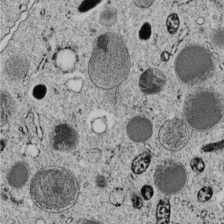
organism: C. elegans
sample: C. elegans embryo early stage